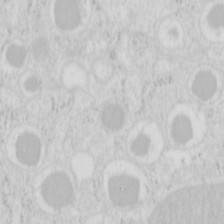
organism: Mouse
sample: Pancreas